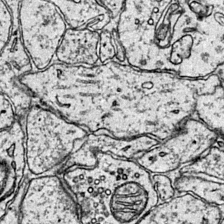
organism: Mouse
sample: Primary visual cortex